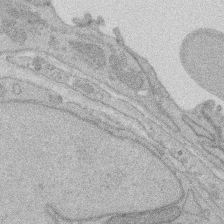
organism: Rat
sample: Salivary granule